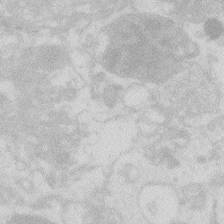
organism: Zebrafish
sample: Macrophage